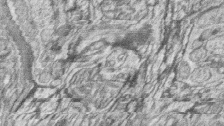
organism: Zebrafish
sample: synaptic ribbons in rod cells and cone cells